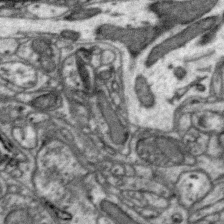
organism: Zebra finch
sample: Brain